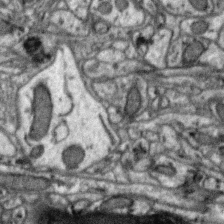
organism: Zebra finch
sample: Brain